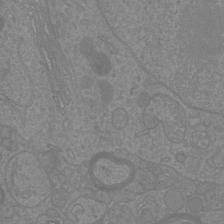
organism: Mouse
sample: Cortical neurons